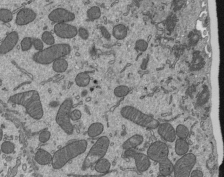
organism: Mouse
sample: Mouse epididymis efferent ductule cilia